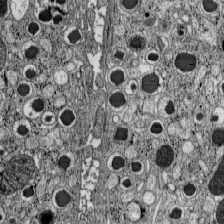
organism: C57BL Mouse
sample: Pancreatic islet